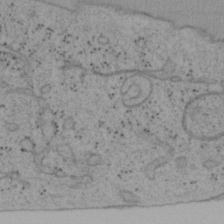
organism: Human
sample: HeLa cells